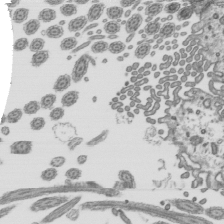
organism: Mouse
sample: Mouse epididymis efferent ductule cilia